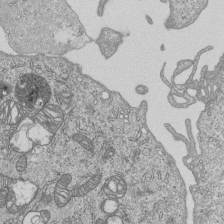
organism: Human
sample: MDA-MB-231 cells